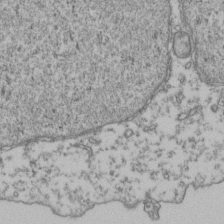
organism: Human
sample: Activated Jurkat CD4+ T cells